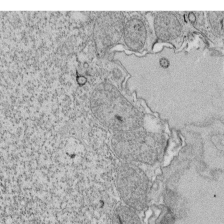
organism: Tetrahymena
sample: Cilia in tetrahymena